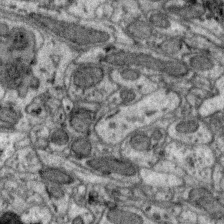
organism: Zebra finch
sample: Brain